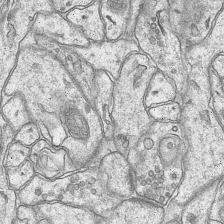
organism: Mouse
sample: CA1 Hippocampus